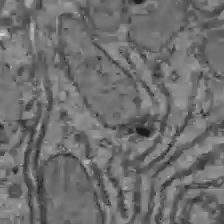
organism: C57BL Mouse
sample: Liver